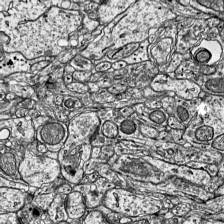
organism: Mouse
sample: Visual Cortex